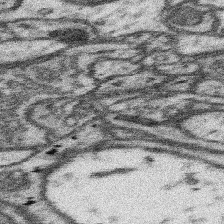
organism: Mouse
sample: Somatosensory cortex neuropil